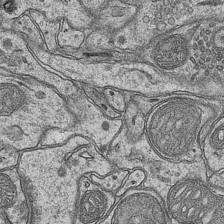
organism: Mouse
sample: CA1 Hippocampus